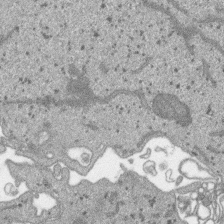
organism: Human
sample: Lung epithelial cells infected with SARS-CoV-2